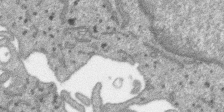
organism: Human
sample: Lung epithelial cells infected with SARS-CoV-2